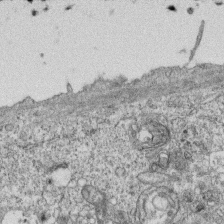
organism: Human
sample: HeLa cell HIV synapse